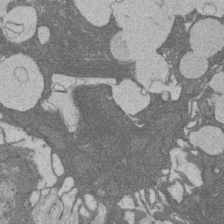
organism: Rat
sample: Salivary granule